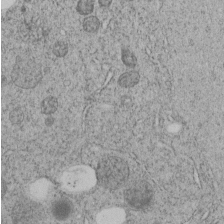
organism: C. elegans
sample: C. elegans embryo early stage